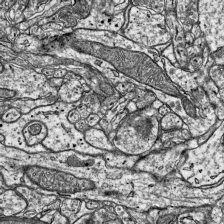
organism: Mouse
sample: Visual Cortex